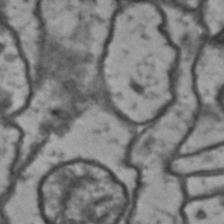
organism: Drosophila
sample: Brain